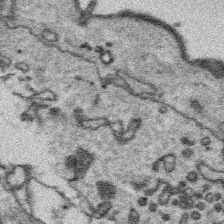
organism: Platynereis dumerilii